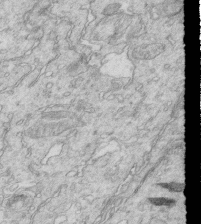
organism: Mouse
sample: Multiciliated cells